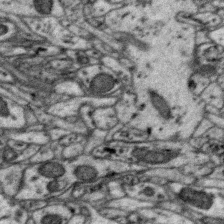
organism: Zebra finch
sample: Brain